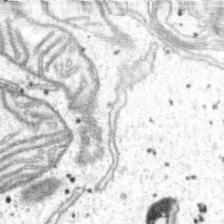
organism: Human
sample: HeLa cells